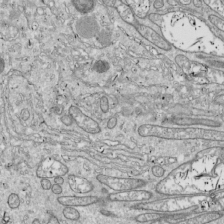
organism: Drosophila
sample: Cell division; meiosis; drosophila spermatocytes